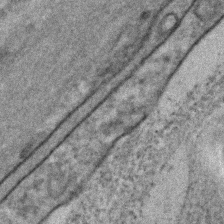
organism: C. elegans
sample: C. elegans embryo